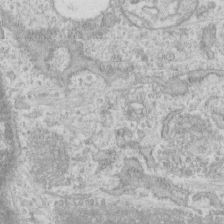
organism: Human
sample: CRL-1474